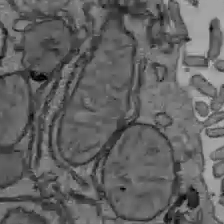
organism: C57BL Mouse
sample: Liver